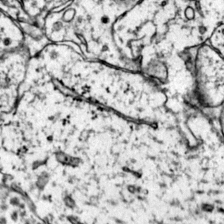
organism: Mouse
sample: Primary visual cortex